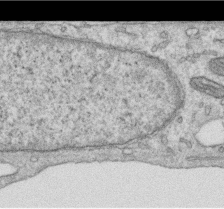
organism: Human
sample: Centriole in RPE cells